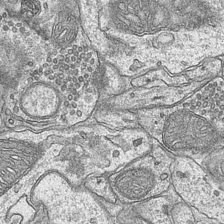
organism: Mouse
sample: CA1 Hippocampus